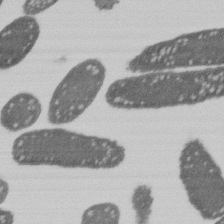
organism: E. coli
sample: Bacterial nucleoid